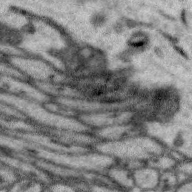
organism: Zebra finch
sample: Brain